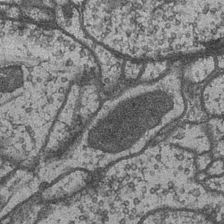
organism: Drosophila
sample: Optic medulla